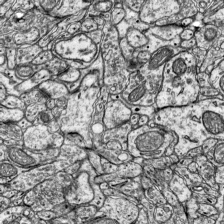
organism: Mouse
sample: Visual Cortex